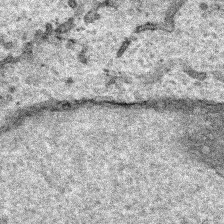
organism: Human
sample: Mitochondria in HCT116 cells